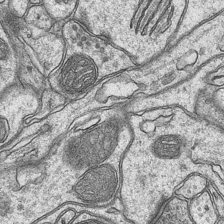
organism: Mouse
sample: CA1 Hippocampus